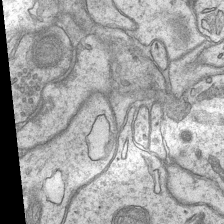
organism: Mouse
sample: CA1 Hippocampus